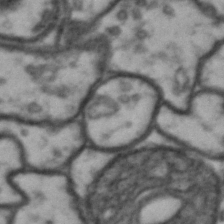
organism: Drosophila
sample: Brain